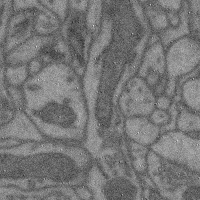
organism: Mouse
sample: Cerebral cortex